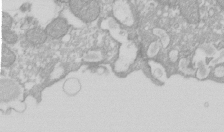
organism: Xenopus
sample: Cilia; centrioles in frog embryo cells